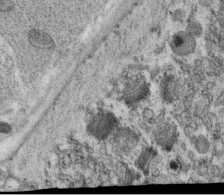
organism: C. elegans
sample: C. elegans oocyte; sperm cells